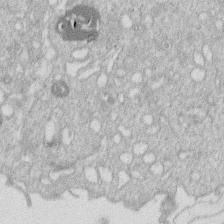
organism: Human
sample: Macrophage cells